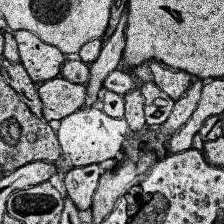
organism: Human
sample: Temporal Lobe